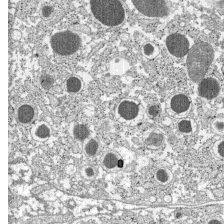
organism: C57BL Mouse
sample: Pancreatic islet